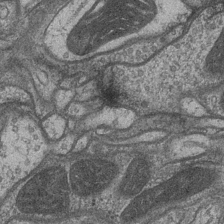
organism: Drosophila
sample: Optic medulla